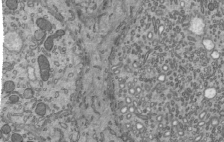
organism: Mouse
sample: Mouse epididymis efferent ductule cilia